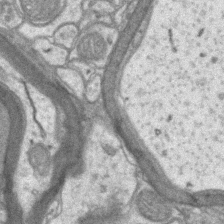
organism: Mouse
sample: CA1 Hippocampus